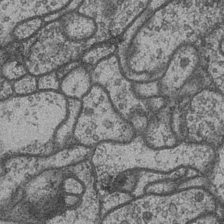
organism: Drosophila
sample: Optic medulla